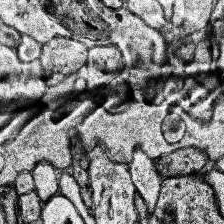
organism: Human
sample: Temporal Lobe